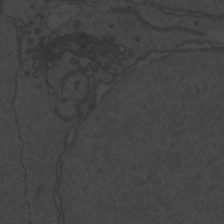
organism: Zebrafish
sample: Macrophage infected with Toxoplasma gondii